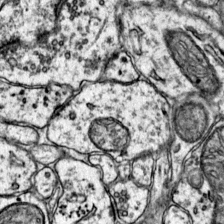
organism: Mouse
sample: Primary visual cortex